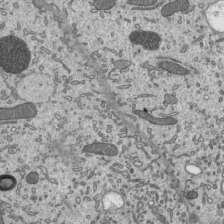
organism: Mouse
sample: Mouse epididymis efferent ductule cilia